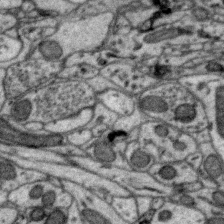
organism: Zebra finch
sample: Brain